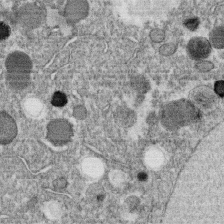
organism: C. elegans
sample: C. elegans oocyte; sperm cells